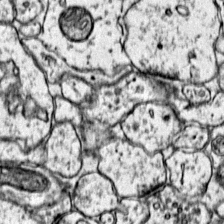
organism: Mouse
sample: Primary visual cortex